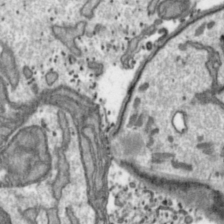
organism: Toxoplasma gondii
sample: Parasites in a vacuole inside a host cell